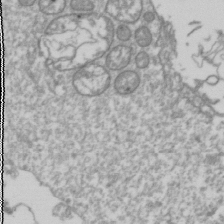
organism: Drosophila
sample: Cell division; meiosis; drosophila spermatocytes